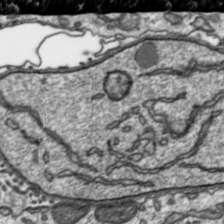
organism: Toxoplasma gondii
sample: Parasites in a vacuole inside a host cell